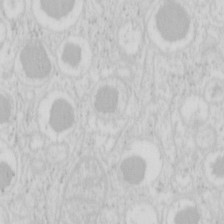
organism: Mouse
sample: Pancreas